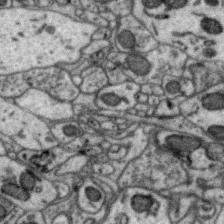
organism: Zebra finch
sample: Brain